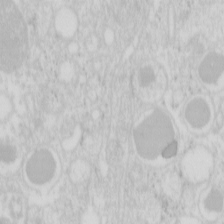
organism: Mouse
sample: Pancreas